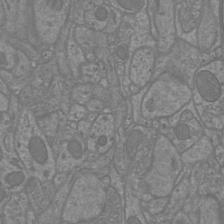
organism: Mouse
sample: Cortical neurons